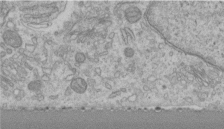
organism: Human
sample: Centriole in RPE cells